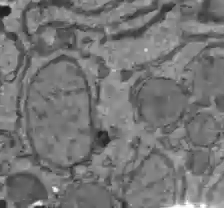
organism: C57BL Mouse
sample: Liver